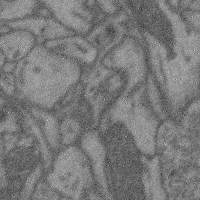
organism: Mouse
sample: Cerebral cortex